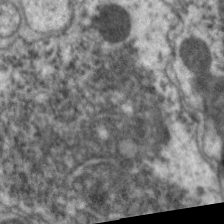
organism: C. elegans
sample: Pharynx